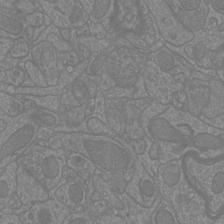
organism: Mouse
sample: Cortical neurons